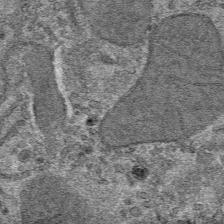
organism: Mouse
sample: Mouse hepatocytes